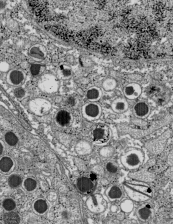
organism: C57BL Mouse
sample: Pancreatic islet